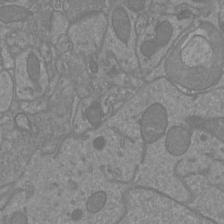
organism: Mouse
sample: Cortical neurons